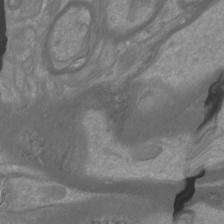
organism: Mouse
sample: Cortical neurons